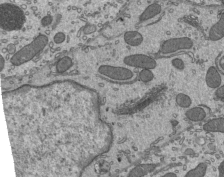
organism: Mouse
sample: Mouse epididymis efferent ductule cilia